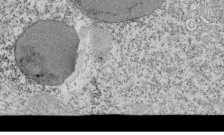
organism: Tetrahymena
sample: Cilia in tetrahymena